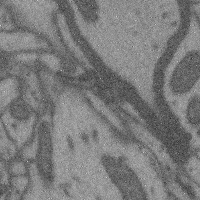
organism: Mouse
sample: Cerebral cortex